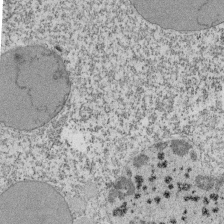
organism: Tetrahymena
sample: Cilia in tetrahymena